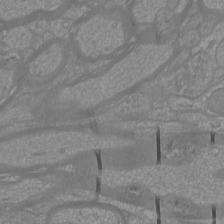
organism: Mouse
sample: Cortical neurons